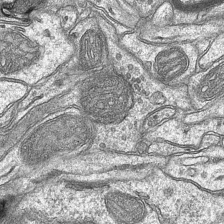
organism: Mouse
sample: CA1 Hippocampus